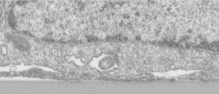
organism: Human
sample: Centriole in RPE cells